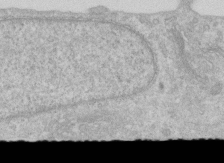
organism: Human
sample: Centriole in RPE cells